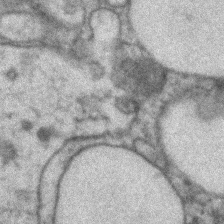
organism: Zebrafish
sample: Zebrafish embryo